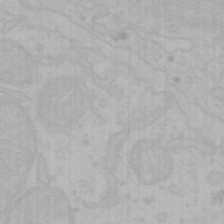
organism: Mouse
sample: Choroid plexus